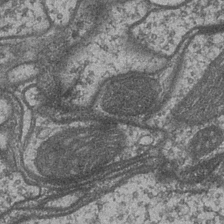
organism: Drosophila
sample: Optic medulla